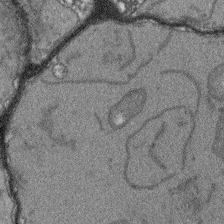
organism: Arabidopsis thaliana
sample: Root tip